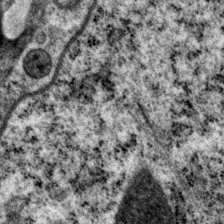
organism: P. pacificus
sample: Pharynx